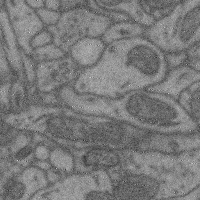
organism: Mouse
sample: Cerebral cortex